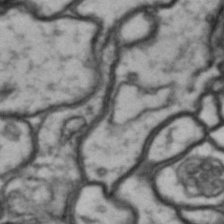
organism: Drosophila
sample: Brain